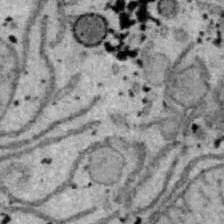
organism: Mouse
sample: Liver from an obese (ob/ob) mouse